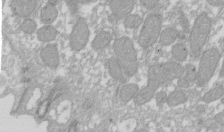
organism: Xenopus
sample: Cilia; centrioles in frog embryo cells